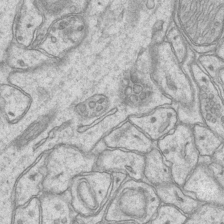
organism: Mouse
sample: CA1 Hippocampus